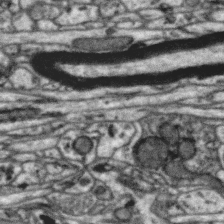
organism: Zebra finch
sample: Brain